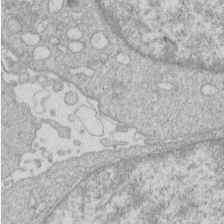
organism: Human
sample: Macrophage cells